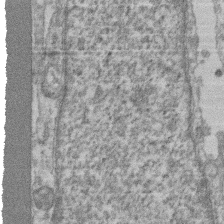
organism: Mouse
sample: T cell stromal cell synapse